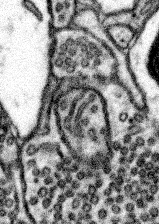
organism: Mouse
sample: Somatosensory cortex neuropil